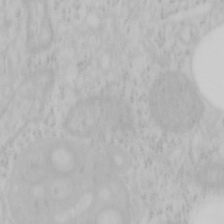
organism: Mouse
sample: OT-I killer T cells with ID8 ovarian cancer cells